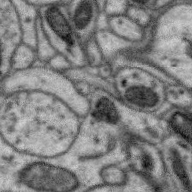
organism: Zebra finch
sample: Brain